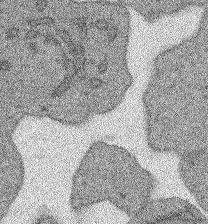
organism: Human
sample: HeLa cells